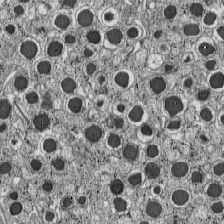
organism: C57BL Mouse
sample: Pancreatic islet